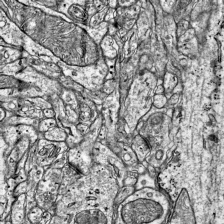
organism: Mouse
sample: Visual Cortex